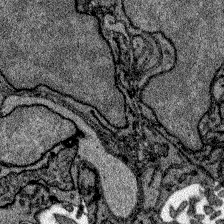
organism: Zebrafish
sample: Larval olfactory bulb